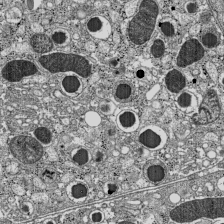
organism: C57BL Mouse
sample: Pancreatic islet